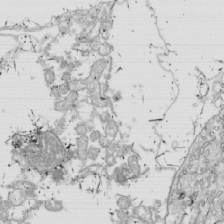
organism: Drosophila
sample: Cell division; meiosis; drosophila spermatocytes